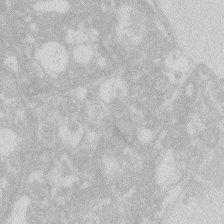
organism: Zebrafish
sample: Macrophage